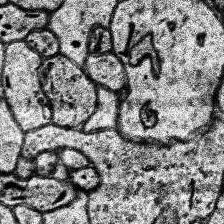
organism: Human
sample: Temporal Lobe